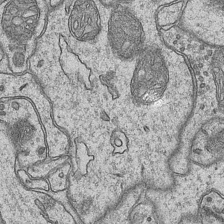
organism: Mouse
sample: CA1 Hippocampus